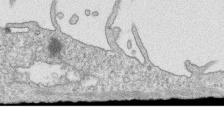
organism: Human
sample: HeLa cell HIV synapse